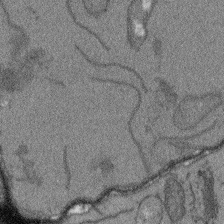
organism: Arabidopsis thaliana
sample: Root tip